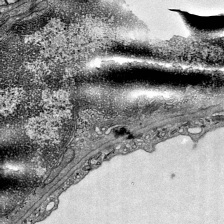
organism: Mouse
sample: Visual Cortex